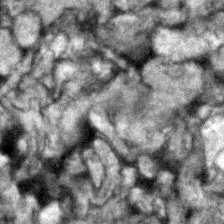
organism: Zebrafish